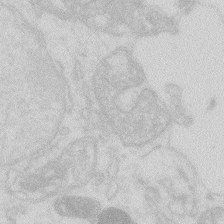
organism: Zebrafish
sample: Macrophage